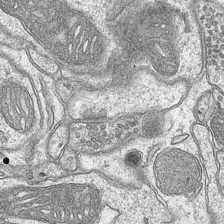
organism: Mouse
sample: CA1 Hippocampus